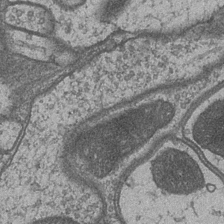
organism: Drosophila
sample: Optic medulla